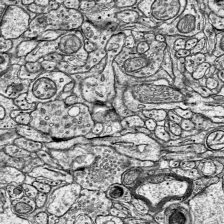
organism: Mouse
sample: Visual Cortex